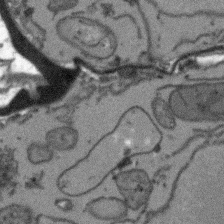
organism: Arabidopsis thaliana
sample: Root tip